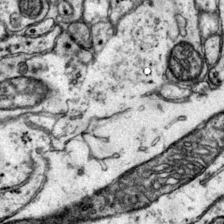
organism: Mouse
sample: Primary visual cortex